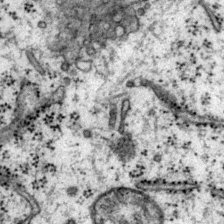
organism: Mouse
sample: Primary visual cortex